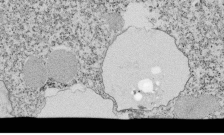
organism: Tetrahymena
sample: Cilia in tetrahymena